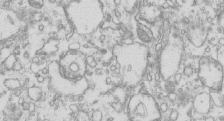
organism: Mouse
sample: Macrophages